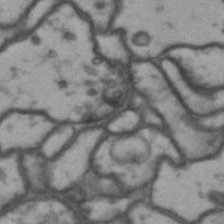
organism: Drosophila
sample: Brain